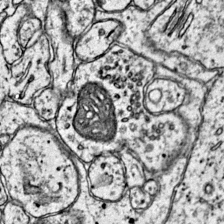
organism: Mouse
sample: Primary visual cortex